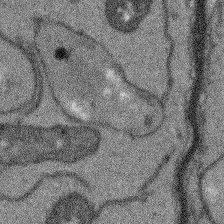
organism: Arabidopsis thaliana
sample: Root tip